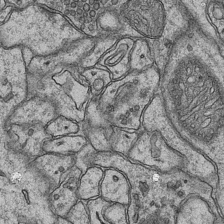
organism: Mouse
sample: CA1 Hippocampus